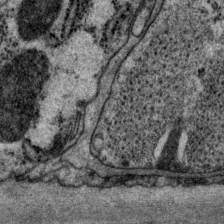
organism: P. pacificus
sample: Pharynx